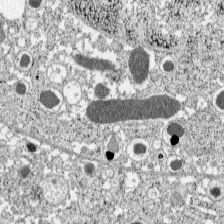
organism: C57BL Mouse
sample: Pancreatic islet